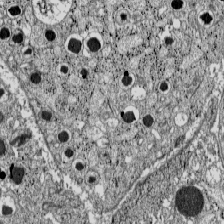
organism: C57BL Mouse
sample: Pancreatic islet